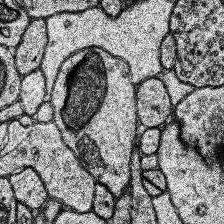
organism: Human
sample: Temporal Lobe